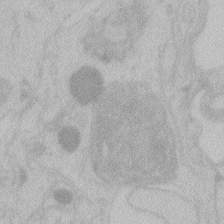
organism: Zebrafish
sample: Macrophage infected with Toxoplasma gondii